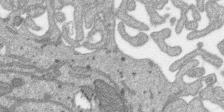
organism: Human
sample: Lung epithelial cells infected with SARS-CoV-2